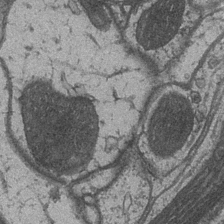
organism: Drosophila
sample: Optic medulla